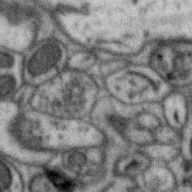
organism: Zebra finch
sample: Brain